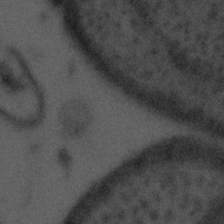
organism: Tuwongella immobilis